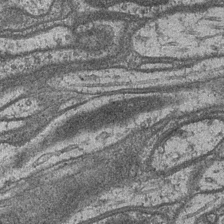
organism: Drosophila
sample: Optic medulla